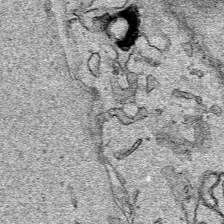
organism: Human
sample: Mitochondria in HCT116 cells